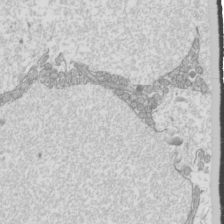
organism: Mouse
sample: Cilia; mouse epididymis